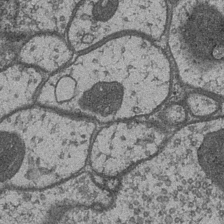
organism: Drosophila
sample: Optic medulla